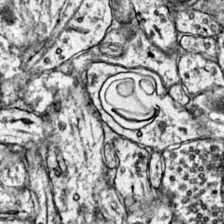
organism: Mouse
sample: Primary visual cortex